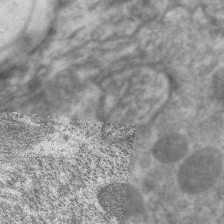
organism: C. elegans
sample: Pharynx